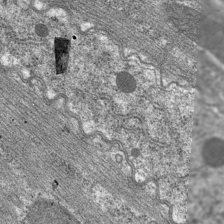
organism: C. elegans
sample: Pharynx